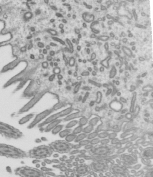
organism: Mouse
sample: Mouse epididymis efferent ductule cilia